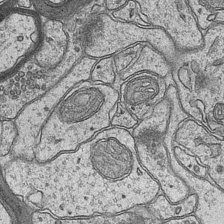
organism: Mouse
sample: CA1 Hippocampus